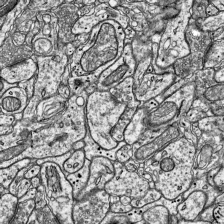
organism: Mouse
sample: Visual Cortex